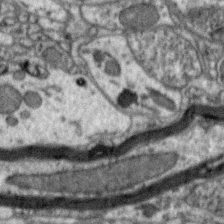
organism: Zebra finch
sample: Brain